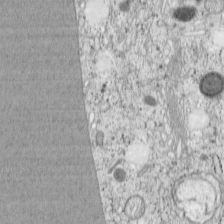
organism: African green monkey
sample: COS-7 cells